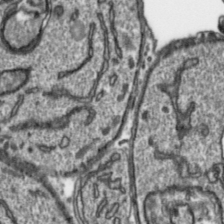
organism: Toxoplasma gondii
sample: Parasites in a vacuole inside a host cell